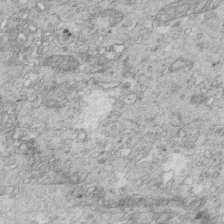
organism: Mouse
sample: Multiciliated cells